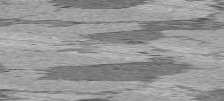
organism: C57BL Mouse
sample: Heart